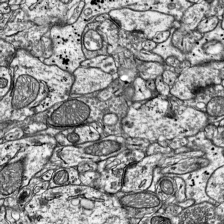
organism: Mouse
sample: Visual Cortex